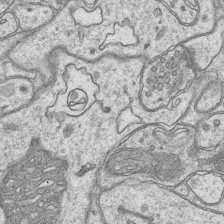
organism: Mouse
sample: CA1 Hippocampus